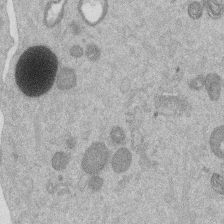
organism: Mouse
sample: Dividing mouse embryo 1 cell stage